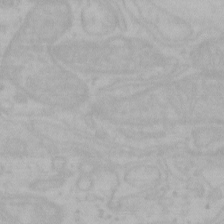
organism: Mouse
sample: Choroid plexus